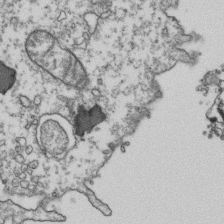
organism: Human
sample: Activated Jurkat CD4+ T cells